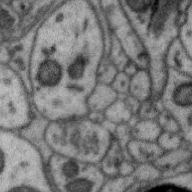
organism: Zebra finch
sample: Brain